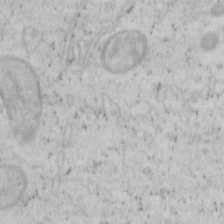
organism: Human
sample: HeLa cells